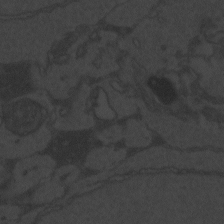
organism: Zebrafish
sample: Macrophage infected with Toxoplasma gondii